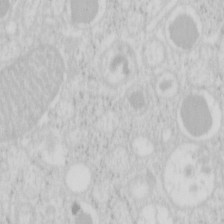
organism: Mouse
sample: Pancreas